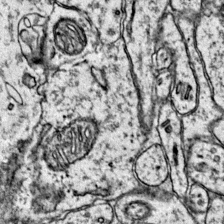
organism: Mouse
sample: Primary visual cortex